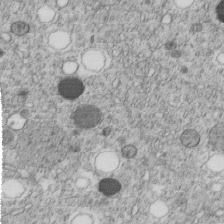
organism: C. elegans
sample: C. elegans embryo early stage